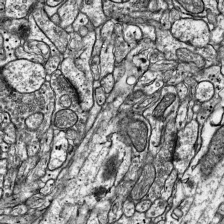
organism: Mouse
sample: Visual Cortex